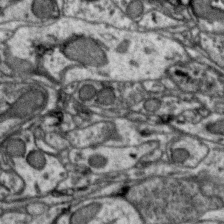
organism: Zebra finch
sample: Brain